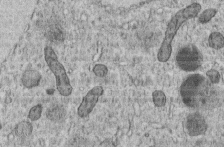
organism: C. elegans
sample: C. elegans embryo early stage